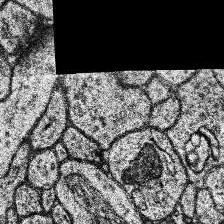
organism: Human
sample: Temporal Lobe